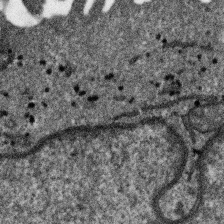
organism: Human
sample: Lung epithelial cells infected with SARS-CoV-2